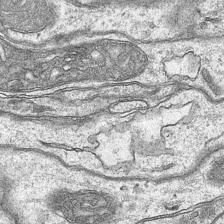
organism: Mouse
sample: CA1 Hippocampus